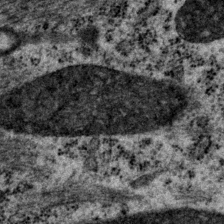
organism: P. pacificus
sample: Pharynx